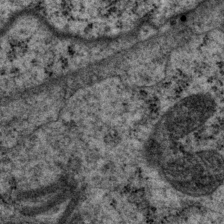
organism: P. pacificus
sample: Pharynx